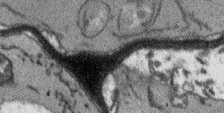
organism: Arabidopsis thaliana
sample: Root tip